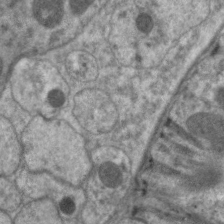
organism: C. elegans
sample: Pharynx